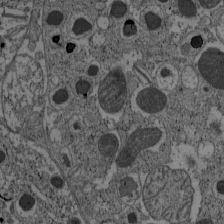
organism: C57BL Mouse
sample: Pancreatic islet